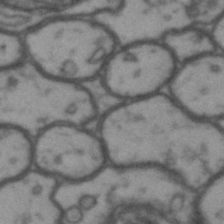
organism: Drosophila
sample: Brain